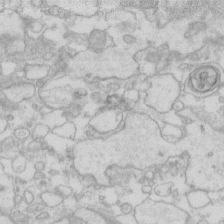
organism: Human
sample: Fibroblast cells